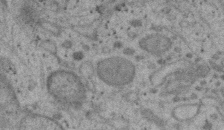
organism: Human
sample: HeLa cells